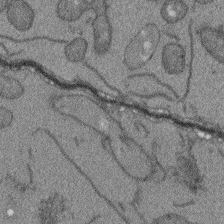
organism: Arabidopsis thaliana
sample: Root tip